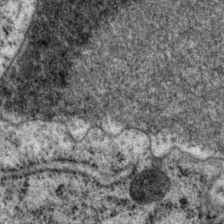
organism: P. pacificus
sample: Pharynx